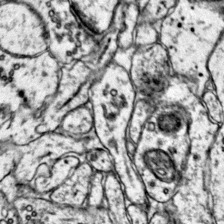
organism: Mouse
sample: Primary visual cortex